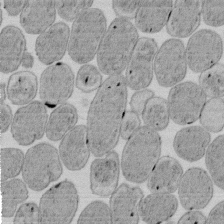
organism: E. coli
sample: Bacterial nucleoid